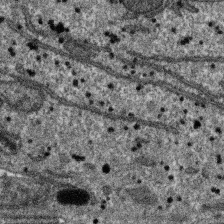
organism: Human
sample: Lung epithelial cells infected with SARS-CoV-2